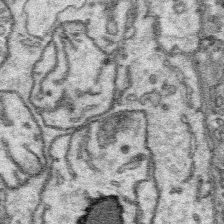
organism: Platynereis dumerilii